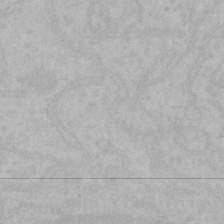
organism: Mouse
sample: Choroid plexus